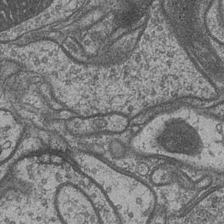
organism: Drosophila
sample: Optic medulla